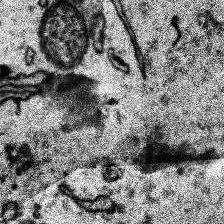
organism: Human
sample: Temporal Lobe